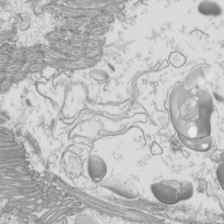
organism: Mouse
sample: Cilia; mouse epididymis